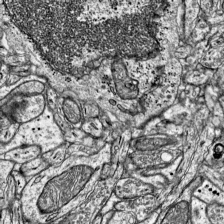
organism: Mouse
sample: Visual Cortex